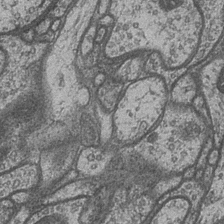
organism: Drosophila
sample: Optic medulla